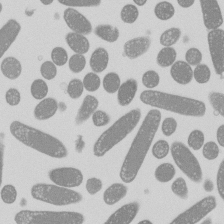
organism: E. coli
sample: Bacterial nucleoid